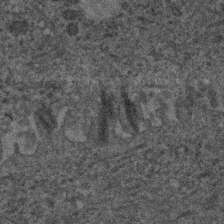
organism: Human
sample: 1205lu cells